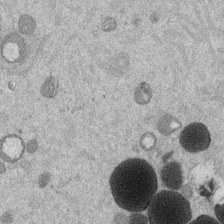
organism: Mouse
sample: Dividing mouse embryo 1 cell stage